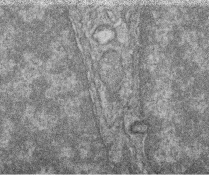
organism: Zebrafish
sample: Cilia; retinal pigment epithelium